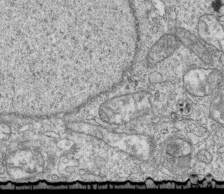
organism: Human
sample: HeLa cell HIV synapse